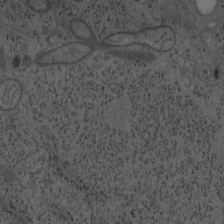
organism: Mouse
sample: OT-I killer T cells with ID8 ovarian cancer cells